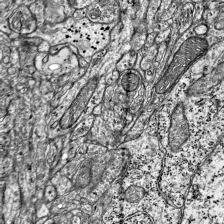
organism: Mouse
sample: Visual Cortex